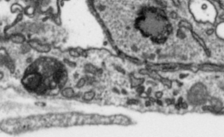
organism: Toxoplasma gondii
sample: Parasites in a vacuole inside a host cell